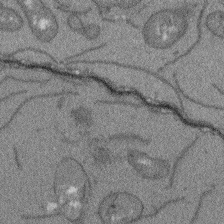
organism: Arabidopsis thaliana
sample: Root tip